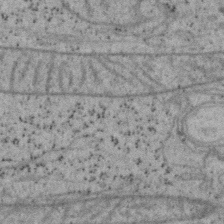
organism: Human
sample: HeLa cells